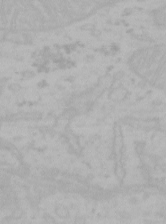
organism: Mouse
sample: Choroid plexus